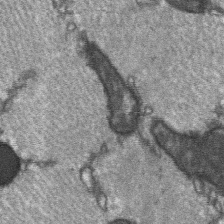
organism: C57BL Mouse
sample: Soleus